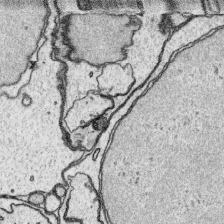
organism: Platynereis dumerilii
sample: Parapodia